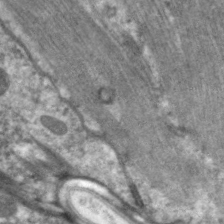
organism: C. elegans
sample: Pharynx